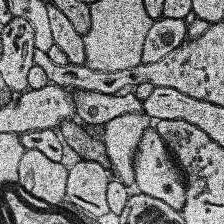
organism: Human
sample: Temporal Lobe